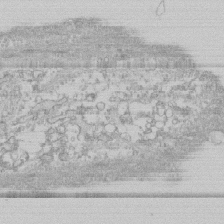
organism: Human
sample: CRL-1474